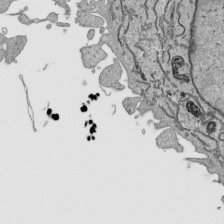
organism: Human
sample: Mitochondria in HCT116 cells